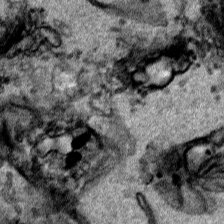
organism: Human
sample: Mitochondria in HCT116 cells